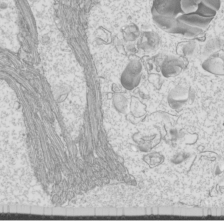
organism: Mouse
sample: Cilia; mouse epididymis